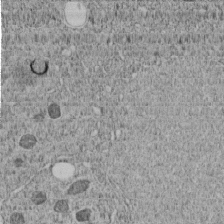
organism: C. elegans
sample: C. elegans embryo early stage